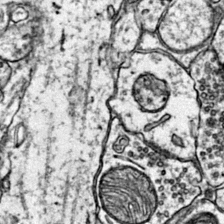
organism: Mouse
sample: Primary visual cortex